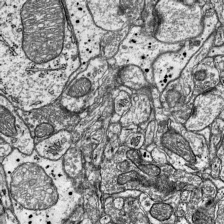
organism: Mouse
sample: Visual Cortex